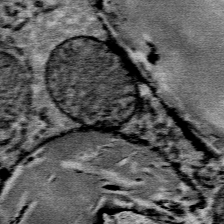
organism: Mouse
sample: Mouse Salivary gland